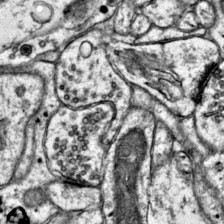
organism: Mouse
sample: Primary visual cortex